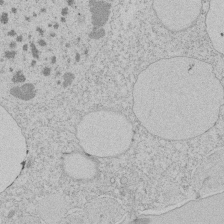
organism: Tetrahymena